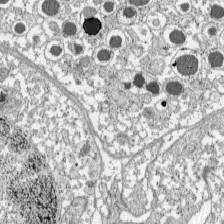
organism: C57BL Mouse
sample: Pancreatic islet